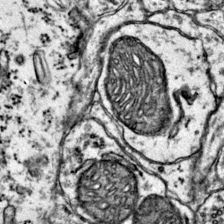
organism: Mouse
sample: Primary visual cortex